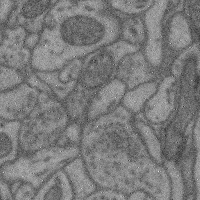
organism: Mouse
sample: Cerebral cortex